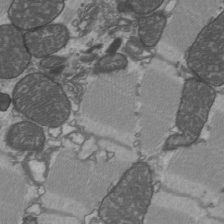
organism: C57BL Mouse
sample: Heart